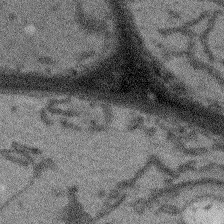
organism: Arabidopsis thaliana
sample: Root tip